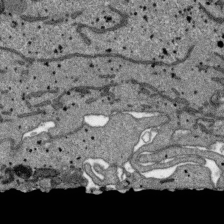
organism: Human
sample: Lung epithelial cells, uninfected (mock) control